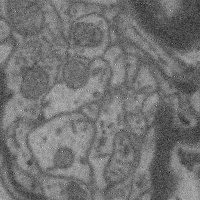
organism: Mouse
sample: Cerebral cortex